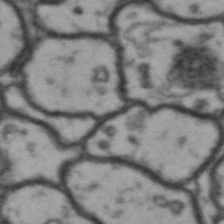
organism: Drosophila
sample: Brain